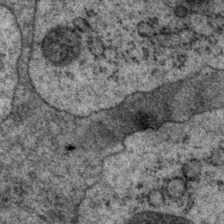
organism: P. pacificus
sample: Pharynx